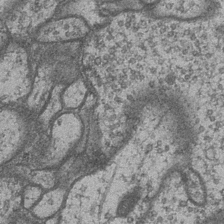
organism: Drosophila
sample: Optic medulla